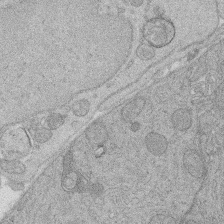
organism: Rat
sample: Salivary granule